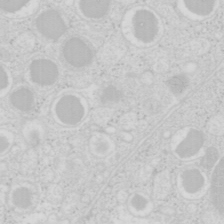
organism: Mouse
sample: Pancreas